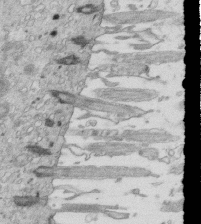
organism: Mouse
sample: Multiciliated cells